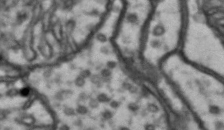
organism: Drosophila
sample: Brain